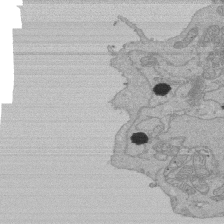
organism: Human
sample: Activated Jurkat CD4+ T cells